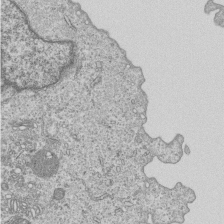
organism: Human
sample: MDA-MB-231 cells